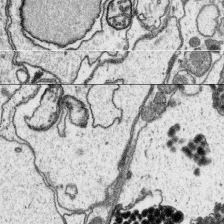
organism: Platynereis dumerilii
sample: Parapodia